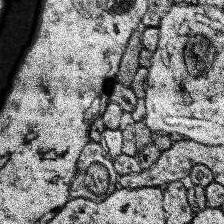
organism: Human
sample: Temporal Lobe